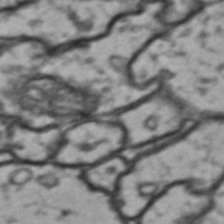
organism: Drosophila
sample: Brain